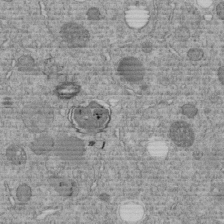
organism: C. elegans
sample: C. elegans embryo early stage